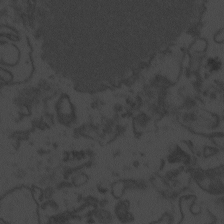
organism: Zebrafish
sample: Macrophage infected with Toxoplasma gondii